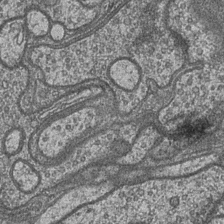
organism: Drosophila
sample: Optic medulla